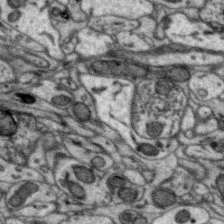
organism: Zebra finch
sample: Brain